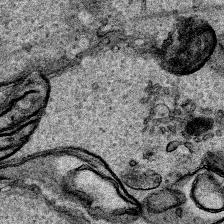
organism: Human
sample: Mitochondria in HCT116 cells